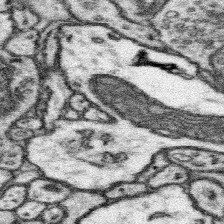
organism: Mouse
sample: Somatosensory cortex neuropil